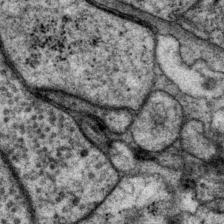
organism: P. pacificus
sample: Pharynx